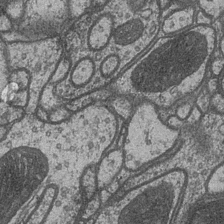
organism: Drosophila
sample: Optic medulla